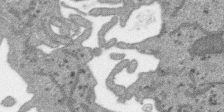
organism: Human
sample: Lung epithelial cells infected with SARS-CoV-2